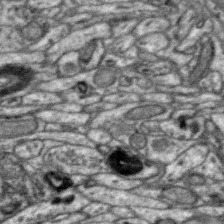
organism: Zebra finch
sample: Brain